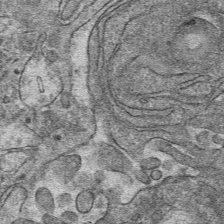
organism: Mouse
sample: Mouse hepatocytes